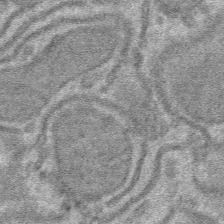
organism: Mouse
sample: Mouse hepatocytes